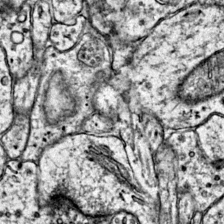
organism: Mouse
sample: Primary visual cortex